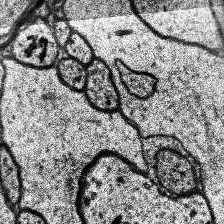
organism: Human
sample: Temporal Lobe